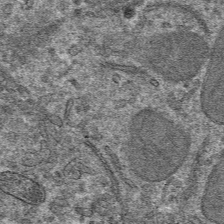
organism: Mouse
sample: Mouse hepatocytes